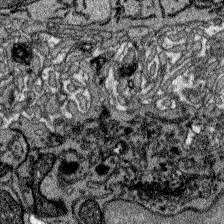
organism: Zebrafish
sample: Larval olfactory bulb